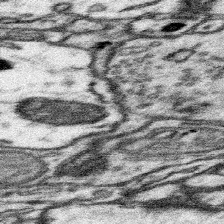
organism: Mouse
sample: Somatosensory cortex neuropil